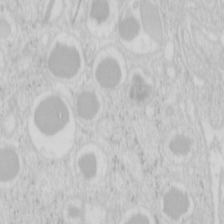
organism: Mouse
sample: Pancreas